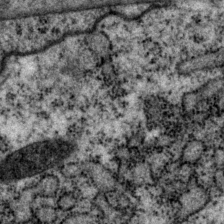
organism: P. pacificus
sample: Pharynx